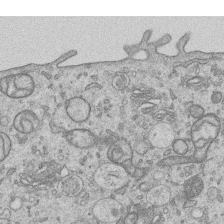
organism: Human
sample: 1205lu cells